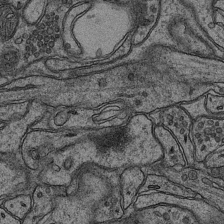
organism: Mouse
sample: CA1 Hippocampus